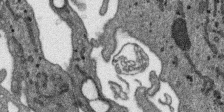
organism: Human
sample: Lung epithelial cells infected with SARS-CoV-2